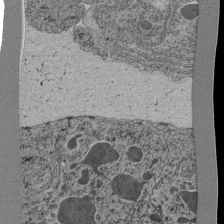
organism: C. elegans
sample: C. elegans pharynx